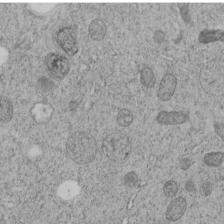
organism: C. elegans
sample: C. elegans embryo early stage